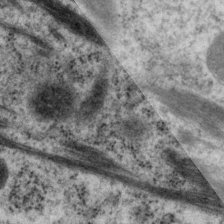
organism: P. pacificus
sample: Pharynx